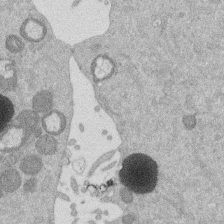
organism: Mouse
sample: Dividing mouse embryo 1 cell stage